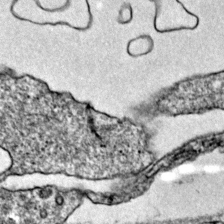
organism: Mouse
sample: Primary visual cortex